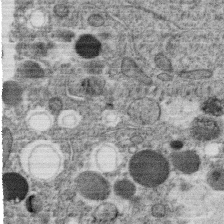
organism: C. elegans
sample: C. elegans oocyte; sperm cells